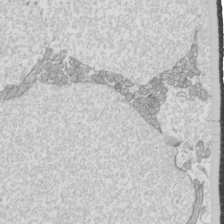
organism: Mouse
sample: Cilia; mouse epididymis